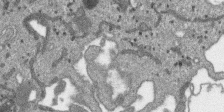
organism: Human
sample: Lung epithelial cells infected with SARS-CoV-2